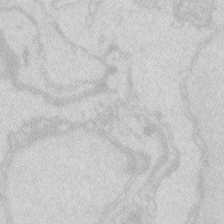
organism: Zebrafish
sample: Macrophage